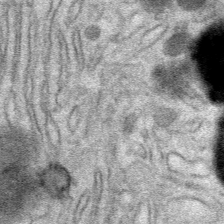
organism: Mouse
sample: Mouse Salivary gland